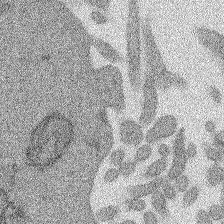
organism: Human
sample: HeLa cells